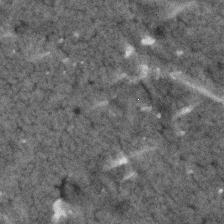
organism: Human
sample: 1205lu cells